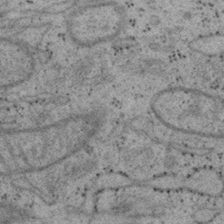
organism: Human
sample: HeLa cells